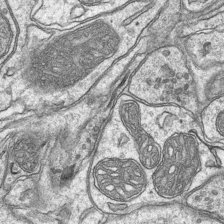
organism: Mouse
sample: CA1 Hippocampus